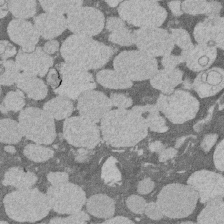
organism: Rat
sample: Salivary granule